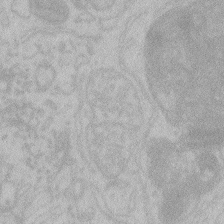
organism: Zebrafish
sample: Macrophage infected with Toxoplasma gondii